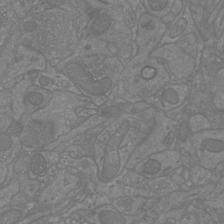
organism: Mouse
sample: Cortical neurons